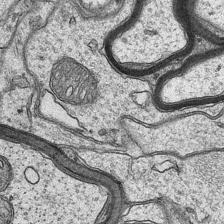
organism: Mouse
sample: CA1 Hippocampus